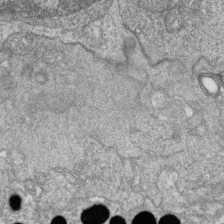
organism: Zebrafish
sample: Cilia; retinal pigment epithelium